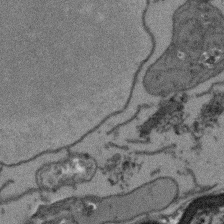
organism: Arabidopsis thaliana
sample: Root tip